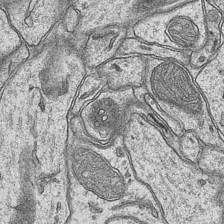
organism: Mouse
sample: CA1 Hippocampus